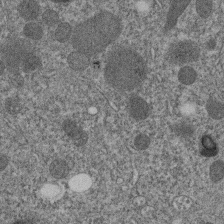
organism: C. elegans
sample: C. elegans embryo early stage